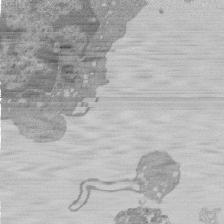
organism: Mouse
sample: Activated Pmel transgenic CD8+ T Cells